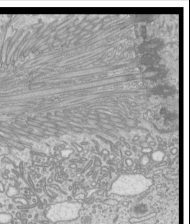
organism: Mouse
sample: Cilia; mouse epididymis